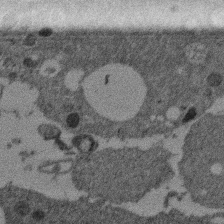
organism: Mouse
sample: Dividing mouse embryo 1 cell stage